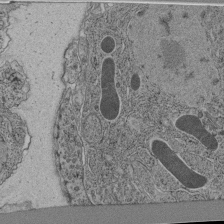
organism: C. elegans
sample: C. elegans pharynx